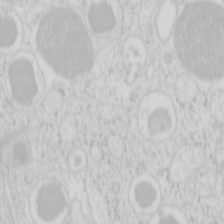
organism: Mouse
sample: Pancreas